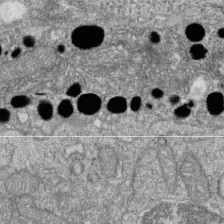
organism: Zebrafish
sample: Cilia; retinal pigment epithelium